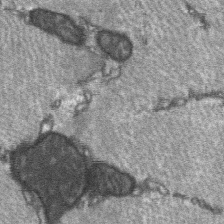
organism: C57BL Mouse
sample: Soleus